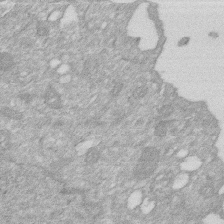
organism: Human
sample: HIV infected U937 cells